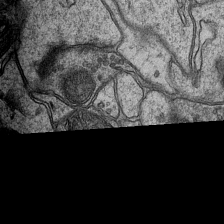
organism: Mouse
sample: CA1 Hippocampus